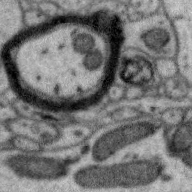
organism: Zebra finch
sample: Brain